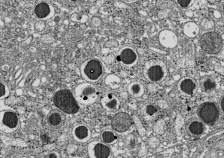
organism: C57BL Mouse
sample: Pancreatic islet